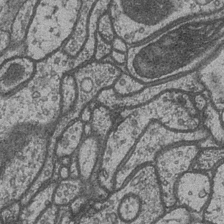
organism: Drosophila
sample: Optic medulla